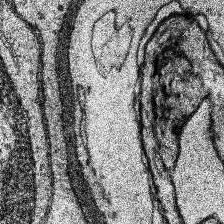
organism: Human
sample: Temporal Lobe